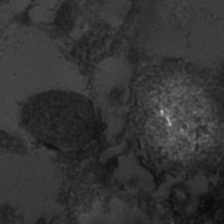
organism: C. elegans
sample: C. elegans embryo